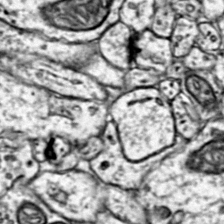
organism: Mouse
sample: Primary visual cortex